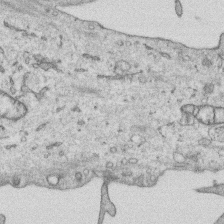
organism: Human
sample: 1205lu cells